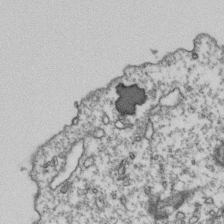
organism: Human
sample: Activated Jurkat CD4+ T cells